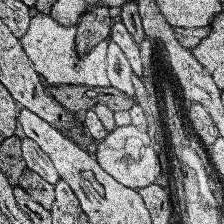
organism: Human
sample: Temporal Lobe